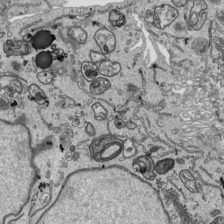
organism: Human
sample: Mitochondria in HCT116 cells